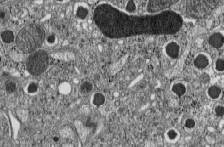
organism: C57BL Mouse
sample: Pancreatic islet